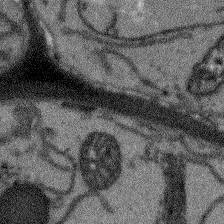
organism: Arabidopsis thaliana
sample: Root tip